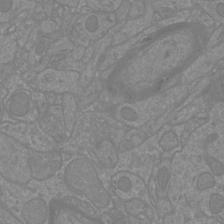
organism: Mouse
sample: Cortical neurons